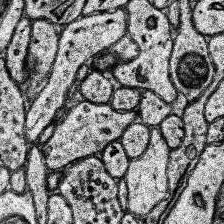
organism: Human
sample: Temporal Lobe